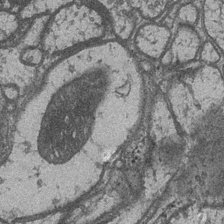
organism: Drosophila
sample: Optic medulla